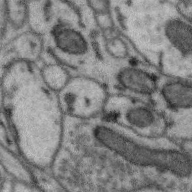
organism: Zebra finch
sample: Brain